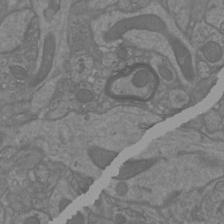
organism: Mouse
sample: Cortical neurons